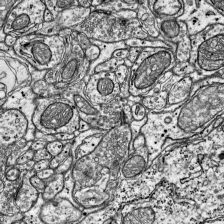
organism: Mouse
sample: Visual Cortex